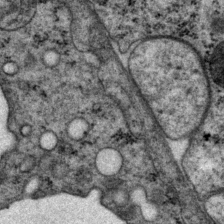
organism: P. pacificus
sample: Pharynx